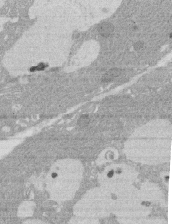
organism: Rat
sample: Salivary granule